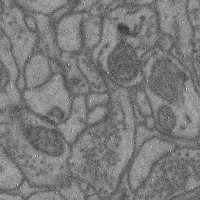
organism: Mouse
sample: Cerebral cortex